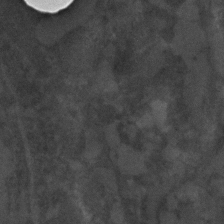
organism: C. elegans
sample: C. elegans embryo